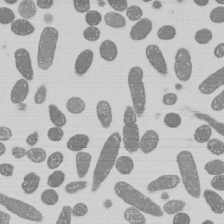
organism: E. coli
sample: Bacterial nucleoid